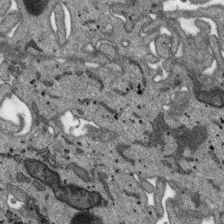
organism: Human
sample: Lung epithelial cells, uninfected (mock) control